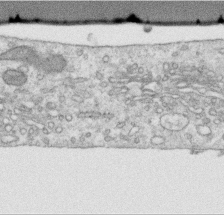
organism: Human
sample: Centriole in RPE cells